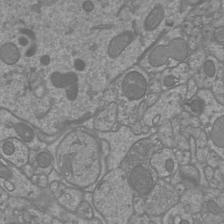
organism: Mouse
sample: Cortical neurons